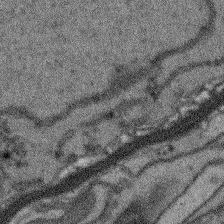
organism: Arabidopsis thaliana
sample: Root tip